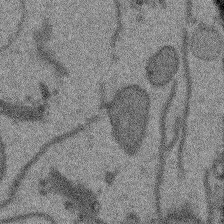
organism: Arabidopsis thaliana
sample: Root tip